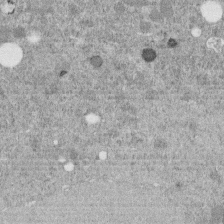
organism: C. elegans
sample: C. elegans embryo early stage